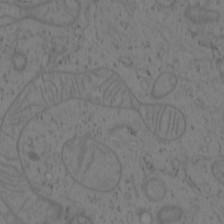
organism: Human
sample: HeLa cells